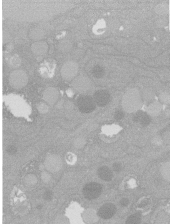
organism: C. elegans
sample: C. elegans oocyte; sperm cells